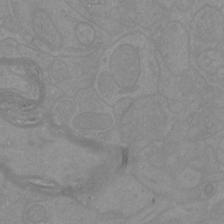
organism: Mouse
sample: Cortical neurons